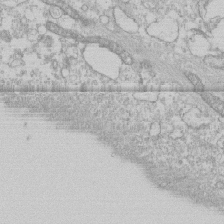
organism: Human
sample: CRL-1474